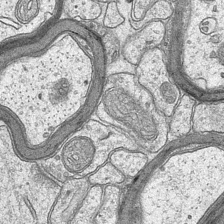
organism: Mouse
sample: CA1 Hippocampus